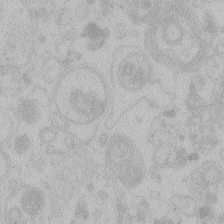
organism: Zebrafish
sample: Macrophage infected with Toxoplasma gondii